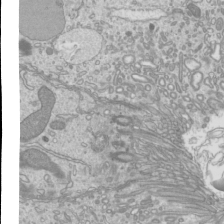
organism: Mouse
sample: Cilia; mouse epididymis